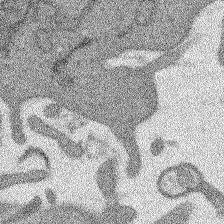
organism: Human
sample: HeLa cells